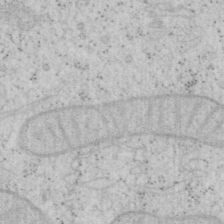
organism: Human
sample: HeLa cells